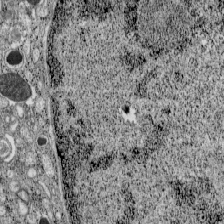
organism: C57BL Mouse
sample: Pancreatic islet